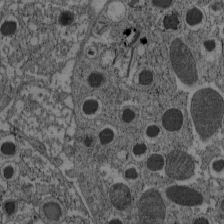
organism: C57BL Mouse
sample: Pancreatic islet